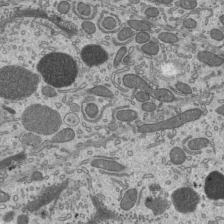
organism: Mouse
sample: Mouse epididymis efferent ductule cilia